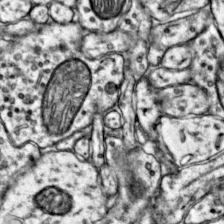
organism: Mouse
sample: Primary visual cortex